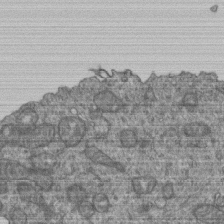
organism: Human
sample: Retinal organoid Rod and Cone cells